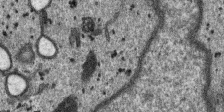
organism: Human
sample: Lung epithelial cells infected with SARS-CoV-2